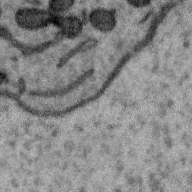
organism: Zebra finch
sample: Brain